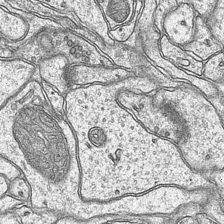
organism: Mouse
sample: CA1 Hippocampus